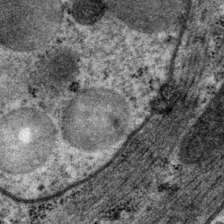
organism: P. pacificus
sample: Pharynx